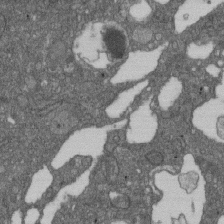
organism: Drosophila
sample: Nephrocyte